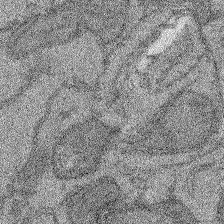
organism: Human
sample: HeLa cells